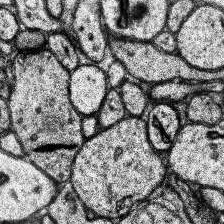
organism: Human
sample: Temporal Lobe